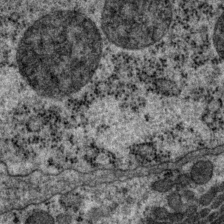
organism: P. pacificus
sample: Pharynx